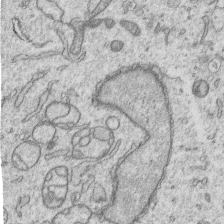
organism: Human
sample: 1205lu cells